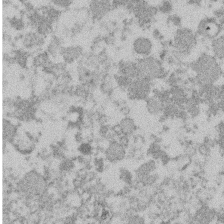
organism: Mouse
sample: Dividing mouse embryo 1 cell stage